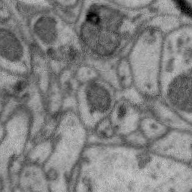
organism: Zebra finch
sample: Brain